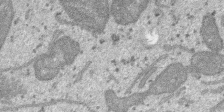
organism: Human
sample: Lung epithelial cells infected with SARS-CoV-2